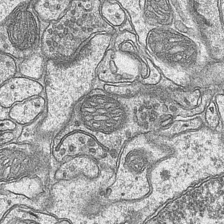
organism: Mouse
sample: CA1 Hippocampus